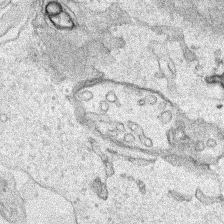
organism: Human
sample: Mitochondria in HCT116 cells